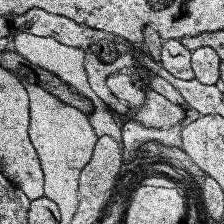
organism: Human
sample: Temporal Lobe